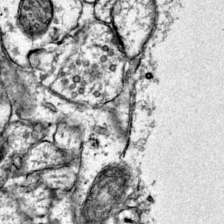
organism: Mouse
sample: Primary visual cortex